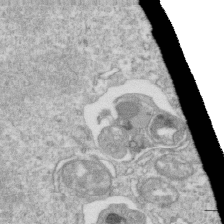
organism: Mouse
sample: Activated OT-1 CD8+ T cells